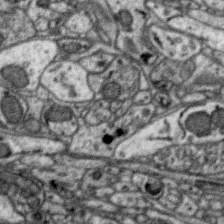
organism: Zebra finch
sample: Brain